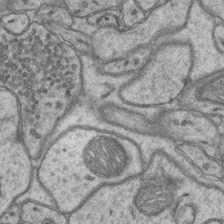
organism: Mouse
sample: CA1 Hippocampus